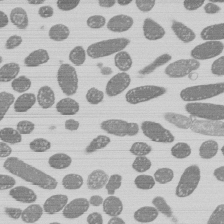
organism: E. coli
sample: Bacterial nucleoid